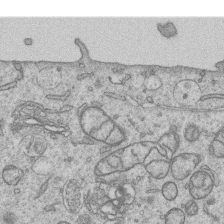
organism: Human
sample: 1205lu cells